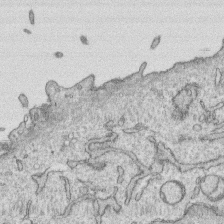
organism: Human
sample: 1205lu cells